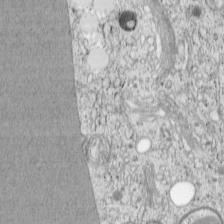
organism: African green monkey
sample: COS-7 cells